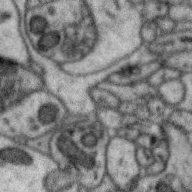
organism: Zebra finch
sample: Brain